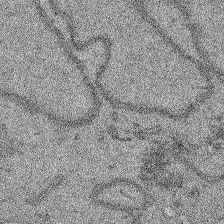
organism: Human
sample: HeLa cells